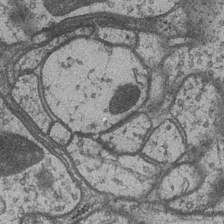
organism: Drosophila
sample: Optic medulla